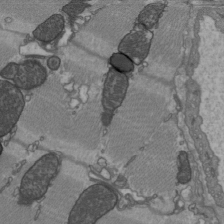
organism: C57BL Mouse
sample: Heart